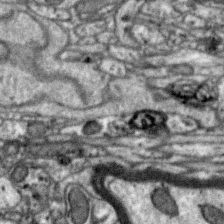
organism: Zebra finch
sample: Brain